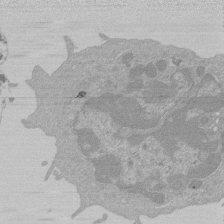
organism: Mouse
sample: Activated Pmel transgenic CD8+ T Cells